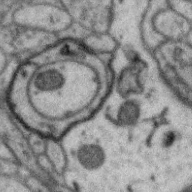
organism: Zebra finch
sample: Brain